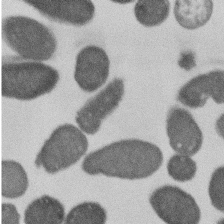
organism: E. coli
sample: Bacterial nucleoid